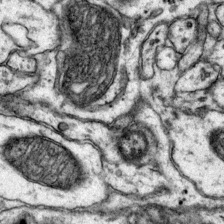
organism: Mouse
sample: Primary visual cortex